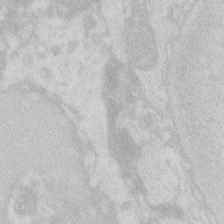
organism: Zebrafish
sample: Macrophage